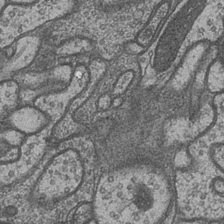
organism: Drosophila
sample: Optic medulla